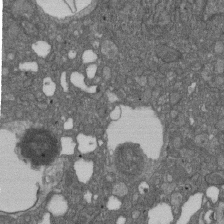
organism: Drosophila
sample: Nephrocyte